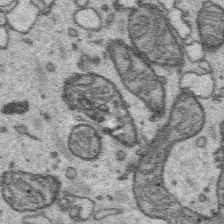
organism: Platynereis dumerilii